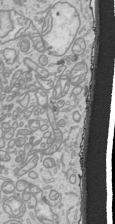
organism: Human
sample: Mitochondria in HCT116 cells